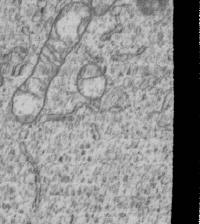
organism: Human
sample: MDA-MB-231 cells